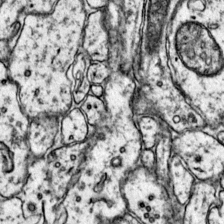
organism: Mouse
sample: Primary visual cortex